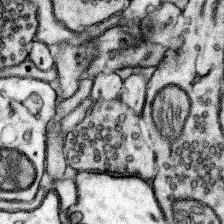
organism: Mouse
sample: Somatosensory cortex neuropil